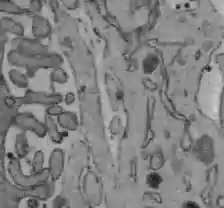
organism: C57BL Mouse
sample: Liver